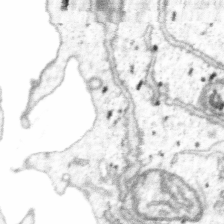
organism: Human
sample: HeLa cells